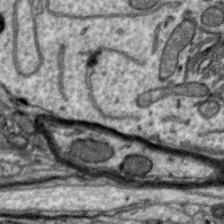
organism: Zebra finch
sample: Brain